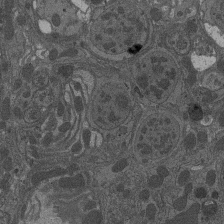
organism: Drosophila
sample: Antenna